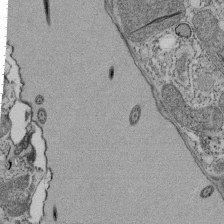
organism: Tetrahymena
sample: Cilia in tetrahymena